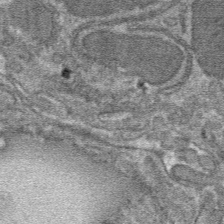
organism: Mouse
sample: Mouse hepatocytes